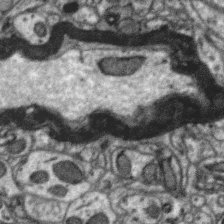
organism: Zebra finch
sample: Brain